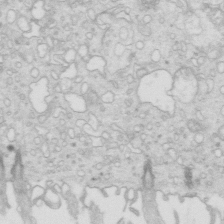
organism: Mouse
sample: Multiciliated cells